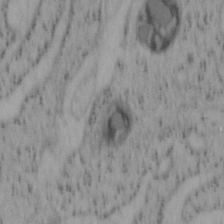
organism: Mouse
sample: OT-I killer T cells with ID8 ovarian cancer cells